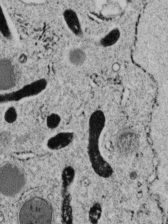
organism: C. elegans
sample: C. elegans embryo early stage